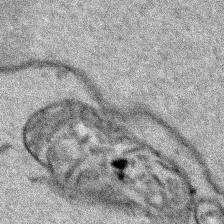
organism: Human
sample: Mitochondria in HCT116 cells